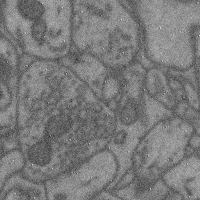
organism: Mouse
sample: Cerebral cortex